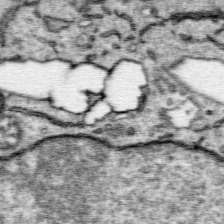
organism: Human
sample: HeLa cells